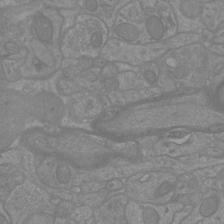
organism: Mouse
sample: Cortical neurons